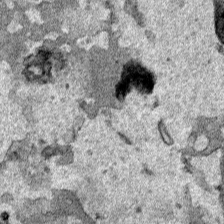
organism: Human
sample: Mitochondria in HCT116 cells